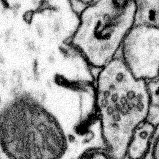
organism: Mouse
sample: Somatosensory cortex neuropil